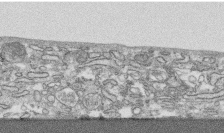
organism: Human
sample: CRL-1474